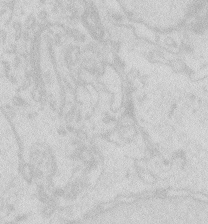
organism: Zebrafish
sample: Macrophage